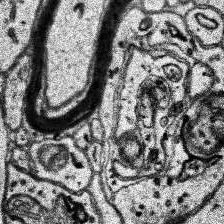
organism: Human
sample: Temporal Lobe